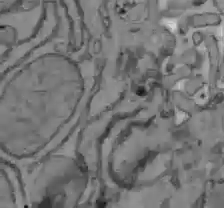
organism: C57BL Mouse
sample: Liver